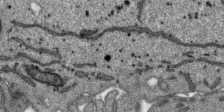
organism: Human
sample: Lung epithelial cells, uninfected (mock) control